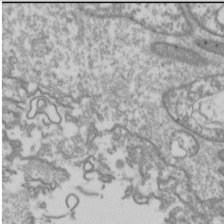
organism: Drosophila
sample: Cell division; meiosis; drosophila spermatocytes